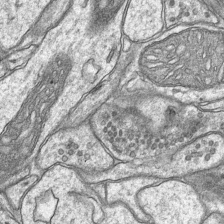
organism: Mouse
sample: CA1 Hippocampus